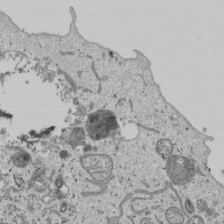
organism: Human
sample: Mitochondria in U2OS cells